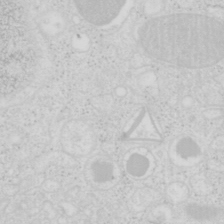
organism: Mouse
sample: Pancreas